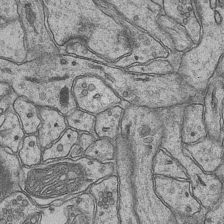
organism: Mouse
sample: CA1 Hippocampus